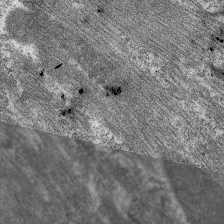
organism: C. elegans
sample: Pharynx